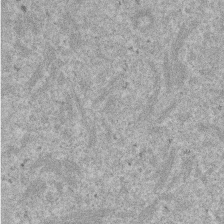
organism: Mouse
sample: Dividing mouse embryo 1 cell stage